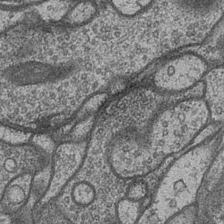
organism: Drosophila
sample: Optic medulla